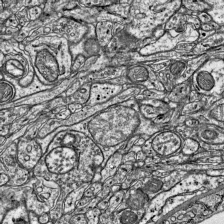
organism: Mouse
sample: Visual Cortex